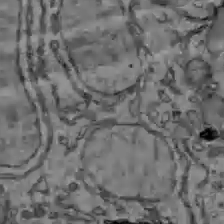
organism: C57BL Mouse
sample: Liver